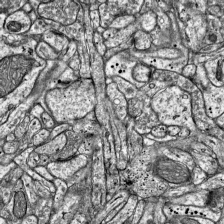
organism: Mouse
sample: Visual Cortex